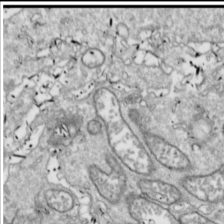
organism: Drosophila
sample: Cell division; meiosis; drosophila spermatocytes